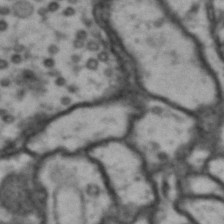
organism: Drosophila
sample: Brain